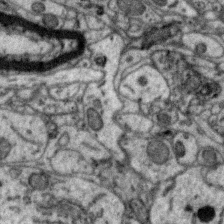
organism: Zebra finch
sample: Brain